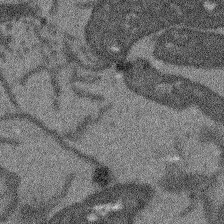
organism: Arabidopsis thaliana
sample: Root tip